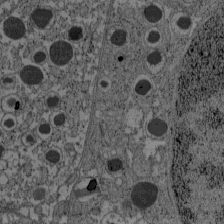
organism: C57BL Mouse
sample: Pancreatic islet